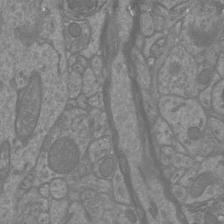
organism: Mouse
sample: Cortical neurons